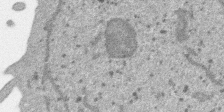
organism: Human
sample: Lung epithelial cells infected with SARS-CoV-2